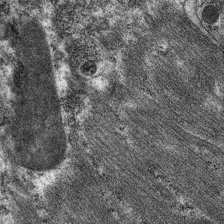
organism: C. elegans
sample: Pharynx